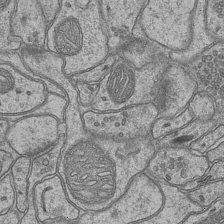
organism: Mouse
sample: CA1 Hippocampus